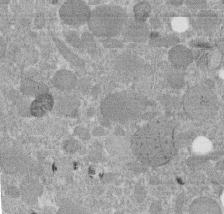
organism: C. elegans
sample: C. elegans embryo early stage